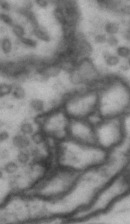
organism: Drosophila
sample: Brain